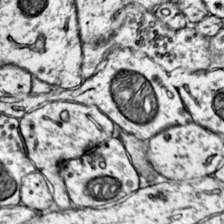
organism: Mouse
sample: Primary visual cortex